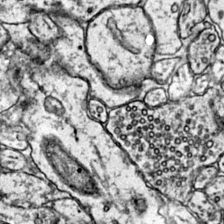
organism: Mouse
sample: Primary visual cortex